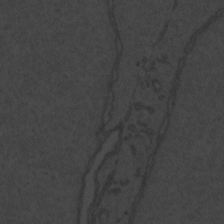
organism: Zebrafish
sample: Macrophage infected with Toxoplasma gondii